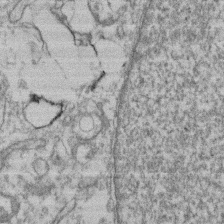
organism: Mouse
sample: T cell stromal cell synapse